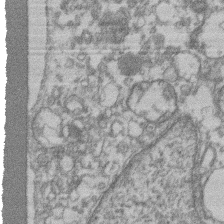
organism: Mouse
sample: T cell stromal cell synapse